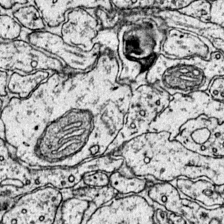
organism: Mouse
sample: Primary visual cortex